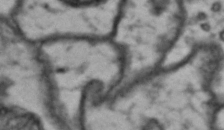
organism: Drosophila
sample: Brain